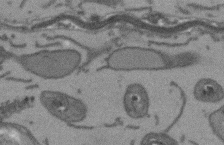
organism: Arabidopsis thaliana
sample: Root tip